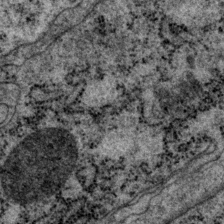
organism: P. pacificus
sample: Pharynx